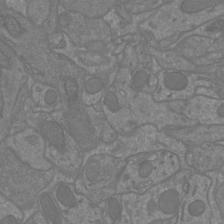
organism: Mouse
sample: Cortical neurons